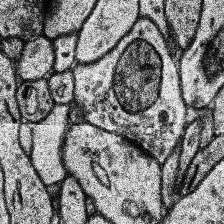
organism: Human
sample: Temporal Lobe